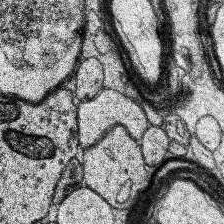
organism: Human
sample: Temporal Lobe